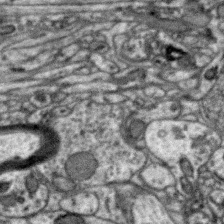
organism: Zebra finch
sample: Brain